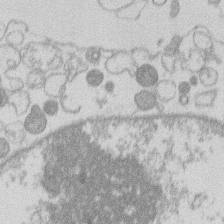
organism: Human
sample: Macrophage cells